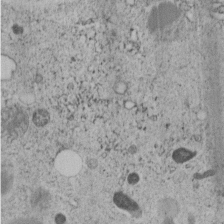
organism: C. elegans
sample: C. elegans embryo early stage